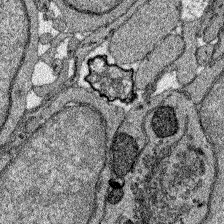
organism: Zebrafish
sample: Larval olfactory bulb